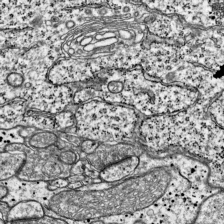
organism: Mouse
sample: Visual Cortex